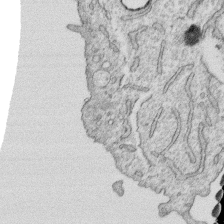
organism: Human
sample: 1205lu cells